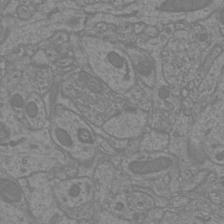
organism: Mouse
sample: Cortical neurons